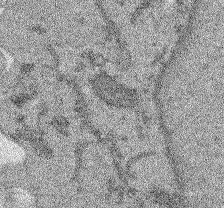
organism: Human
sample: HeLa cells